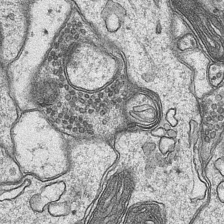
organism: Mouse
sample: CA1 Hippocampus